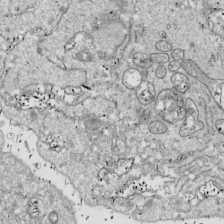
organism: Drosophila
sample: Cell division; meiosis; drosophila spermatocytes